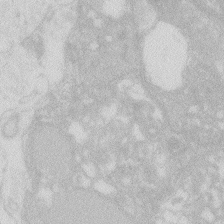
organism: Zebrafish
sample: Macrophage